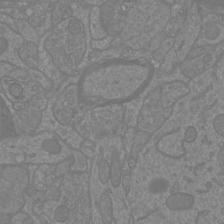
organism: Mouse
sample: Cortical neurons